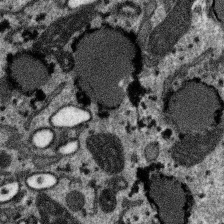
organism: Human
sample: Lung epithelial cells infected with SARS-CoV-2